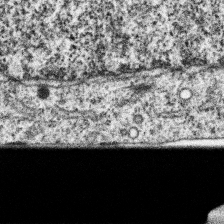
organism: Human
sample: HeLa cells